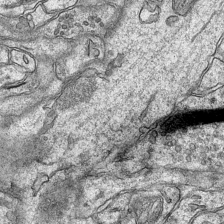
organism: Mouse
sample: CA1 Hippocampus